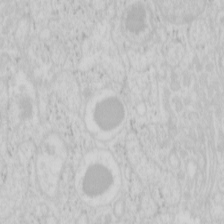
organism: Mouse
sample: Pancreas